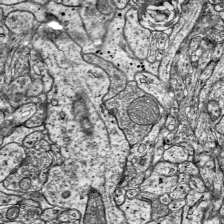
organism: Mouse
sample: Visual Cortex